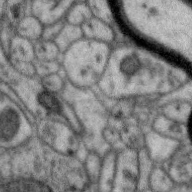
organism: Zebra finch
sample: Brain